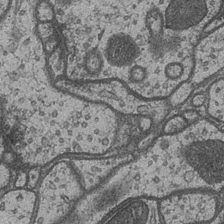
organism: Drosophila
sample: Optic medulla